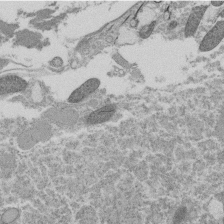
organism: Tetrahymena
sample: Cilia in tetrahymena